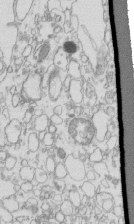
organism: Mouse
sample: Macrophages